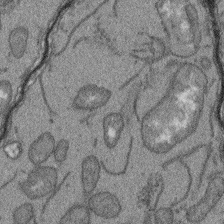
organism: Arabidopsis thaliana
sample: Root tip